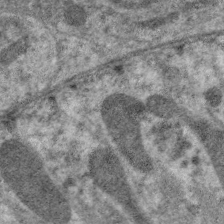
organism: C. elegans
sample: Pharynx